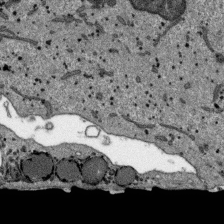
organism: Human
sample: Lung epithelial cells, uninfected (mock) control